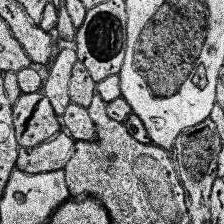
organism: Human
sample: Temporal Lobe